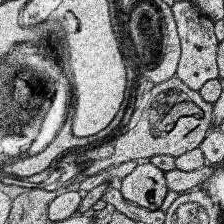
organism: Human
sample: Temporal Lobe